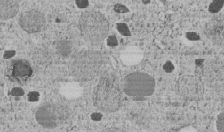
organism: C. elegans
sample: C. elegans embryo early stage